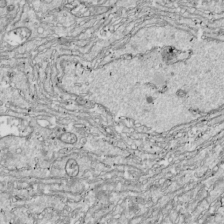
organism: Drosophila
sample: Cell division; meiosis; drosophila spermatocytes